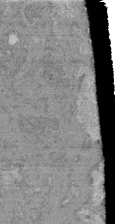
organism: Mouse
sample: Glomerulus